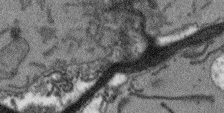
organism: Arabidopsis thaliana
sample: Root tip